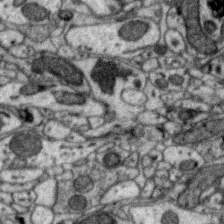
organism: Zebra finch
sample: Brain